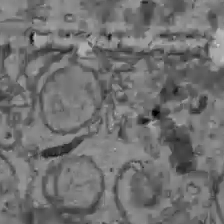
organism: C57BL Mouse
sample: Liver